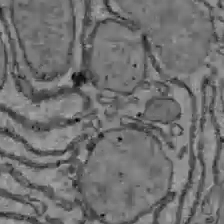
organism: C57BL Mouse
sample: Liver